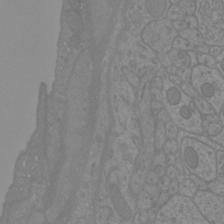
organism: Mouse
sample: Cortical neurons